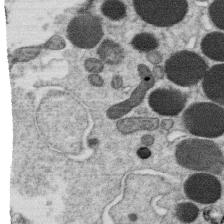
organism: C. elegans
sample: C. elegans oocyte; sperm cells